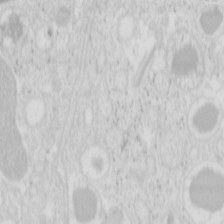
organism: Mouse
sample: Pancreas